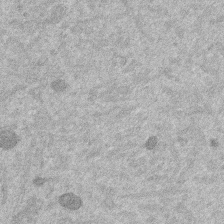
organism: Mouse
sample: Dividing mouse embryo 1 cell stage